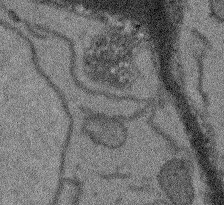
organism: Arabidopsis thaliana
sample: Root tip